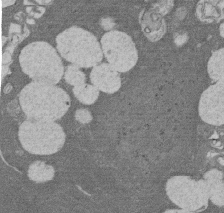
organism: Rat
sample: Salivary granule